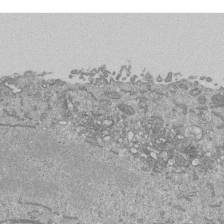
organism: Mouse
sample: ED-1 cell nuclei; centrioles